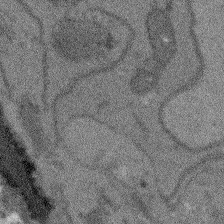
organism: Arabidopsis thaliana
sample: Root tip